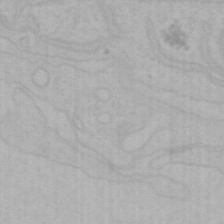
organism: Mouse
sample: Choroid plexus